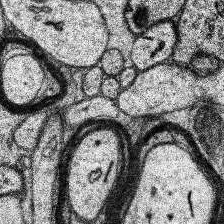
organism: Human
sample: Temporal Lobe